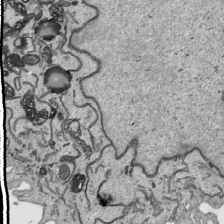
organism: Human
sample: Mitochondria in HCT116 cells